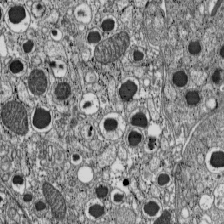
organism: C57BL Mouse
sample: Pancreatic islet